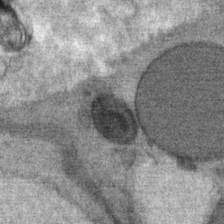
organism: Mouse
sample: Mouse Salivary gland